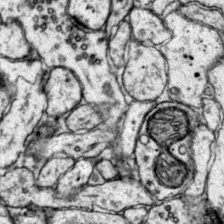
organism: Mouse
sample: Primary visual cortex